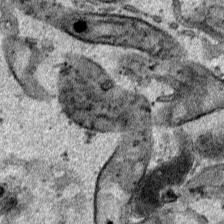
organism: Human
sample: Mitochondria in HCT116 cells